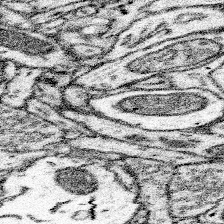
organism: Mouse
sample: Somatosensory cortex neuropil